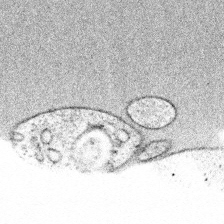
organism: Human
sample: HeLa cells